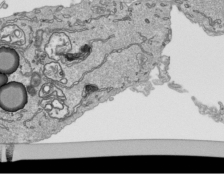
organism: Human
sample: Mitochondria in HCT116 cells